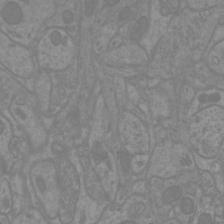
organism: Mouse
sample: Cortical neurons